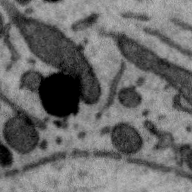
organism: Zebra finch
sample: Brain